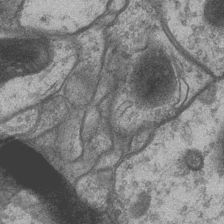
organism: Drosophila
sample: Optic medulla